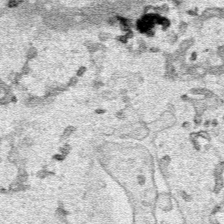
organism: Human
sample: Mitochondria in HCT116 cells